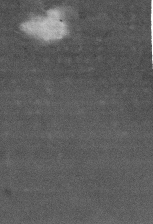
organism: Mouse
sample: Centriole in ependymal cells